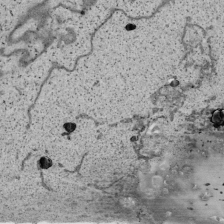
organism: Human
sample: Mitochondria in HCT116 cells